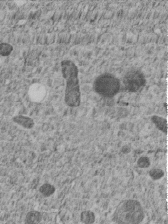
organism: C. elegans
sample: C. elegans embryo early stage